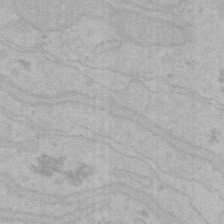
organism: Mouse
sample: Choroid plexus